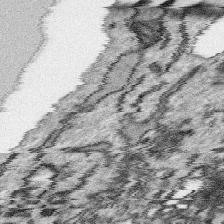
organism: Human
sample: HeLa cells